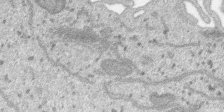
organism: Human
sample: Lung epithelial cells infected with SARS-CoV-2